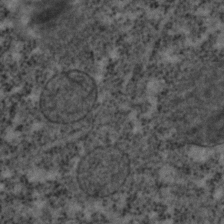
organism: C. elegans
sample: C. elegans embryo